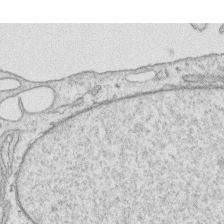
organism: Human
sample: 1205lu cells